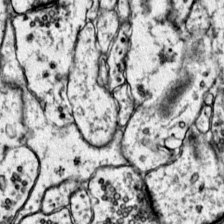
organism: Mouse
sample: Primary visual cortex